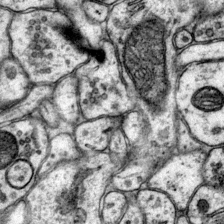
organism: Mouse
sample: Primary visual cortex